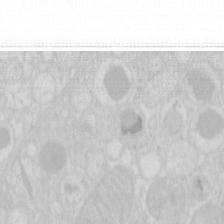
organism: Mouse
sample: Pancreas